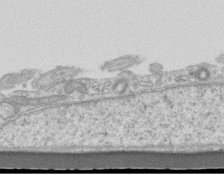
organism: Mouse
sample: Centriole in ependymal cells